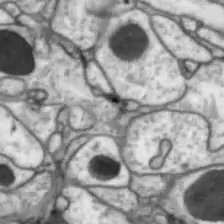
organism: Drosophila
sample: Optic lobe